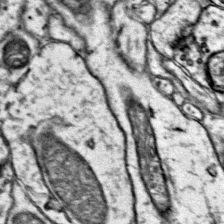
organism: Mouse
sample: Primary visual cortex